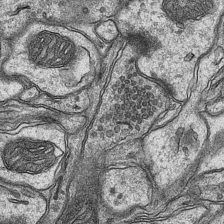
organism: Mouse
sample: CA1 Hippocampus